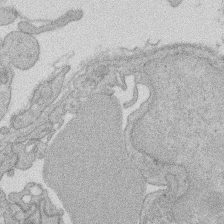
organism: Rat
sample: Salivary granule